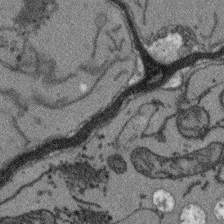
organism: Arabidopsis thaliana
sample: Root tip